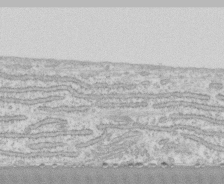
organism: Human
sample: CRL-1474